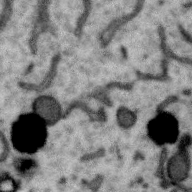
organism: Zebra finch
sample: Brain